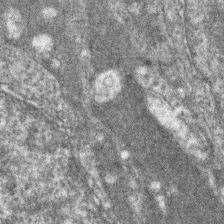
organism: Zebrafish